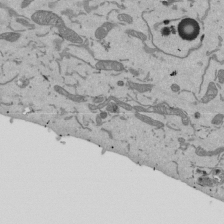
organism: Mouse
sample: ED-1 cell nuclei; centrioles